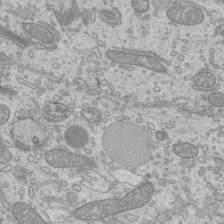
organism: Mouse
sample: Cilia; mouse epididymis